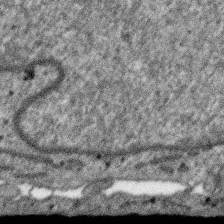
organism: Human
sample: Lung epithelial cells infected with SARS-CoV-2